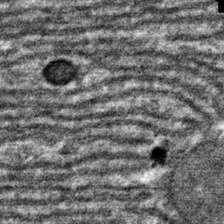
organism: Mouse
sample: Mouse hepatocytes